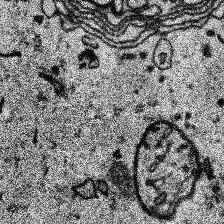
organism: Human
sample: Temporal Lobe